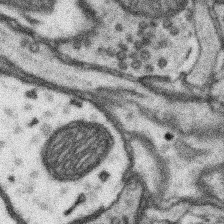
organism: Mouse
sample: Somatosensory cortex neuropil